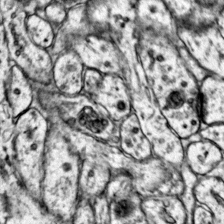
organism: Mouse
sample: Primary visual cortex